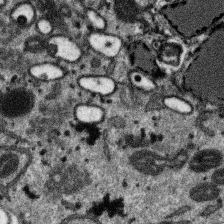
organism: Human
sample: Lung epithelial cells infected with SARS-CoV-2